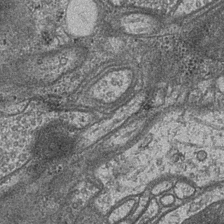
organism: Drosophila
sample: Optic medulla